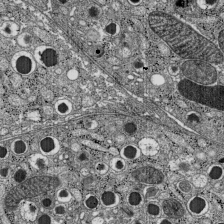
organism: C57BL Mouse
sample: Pancreatic islet